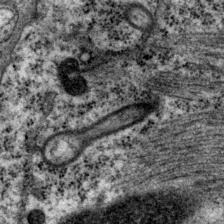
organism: P. pacificus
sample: Pharynx